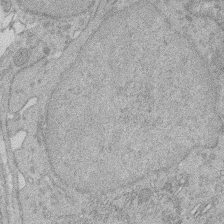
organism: Rat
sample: Salivary granule